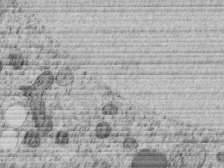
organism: C. elegans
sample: C. elegans embryo early stage